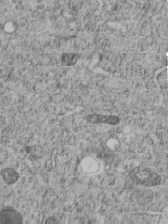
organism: C. elegans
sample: C. elegans embryo early stage